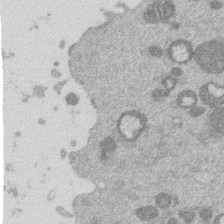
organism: Mouse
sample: Dividing mouse embryo 1 cell stage